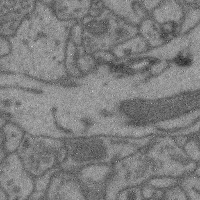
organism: Mouse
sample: Cerebral cortex